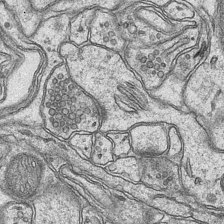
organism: Mouse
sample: CA1 Hippocampus